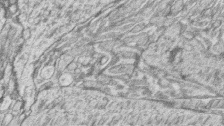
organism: Zebrafish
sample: synaptic ribbons in rod cells and cone cells